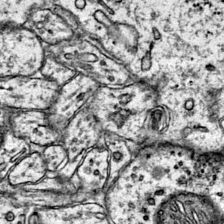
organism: Mouse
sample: Primary visual cortex